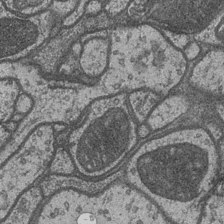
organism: Drosophila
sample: Optic medulla